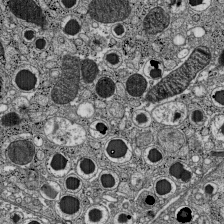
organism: C57BL Mouse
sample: Pancreatic islet